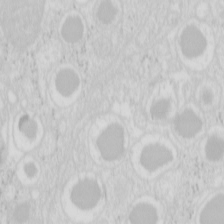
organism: Mouse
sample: Pancreas